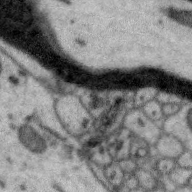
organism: Zebra finch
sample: Brain